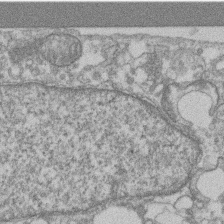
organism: Mouse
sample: T cell stromal cell synapse